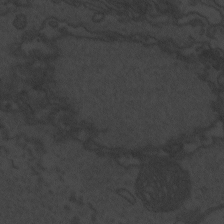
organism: Zebrafish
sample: Macrophage infected with Toxoplasma gondii